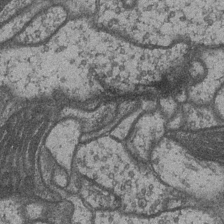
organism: Drosophila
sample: Optic medulla